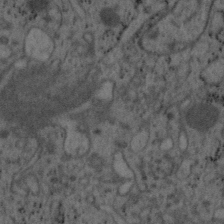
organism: Human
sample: HeLa cells